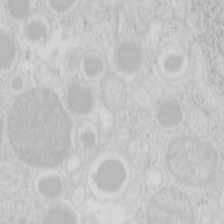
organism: Mouse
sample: Pancreas